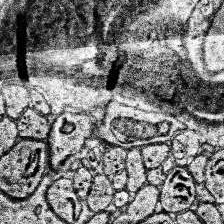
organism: Human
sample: Temporal Lobe